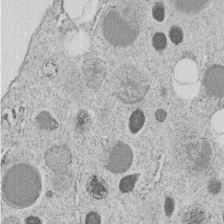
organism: C. elegans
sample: C. elegans embryo early stage